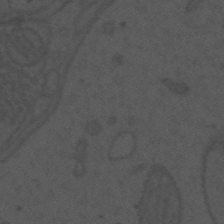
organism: Mouse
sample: Suprachiasmatic nucleus